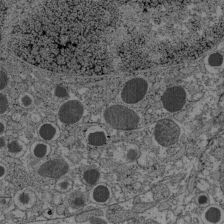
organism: C57BL Mouse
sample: Pancreatic islet